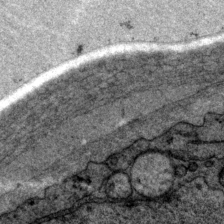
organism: P. pacificus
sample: Pharynx